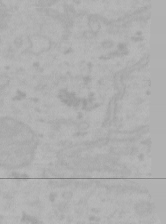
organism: Mouse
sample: Choroid plexus